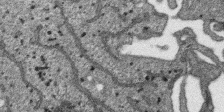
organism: Human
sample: Lung epithelial cells infected with SARS-CoV-2